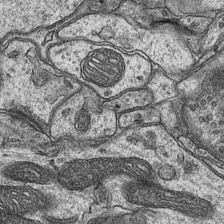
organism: Mouse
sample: CA1 Hippocampus